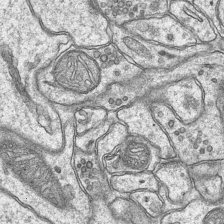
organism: Mouse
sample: CA1 Hippocampus